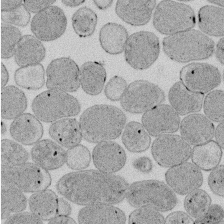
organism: E. coli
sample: Bacterial nucleoid